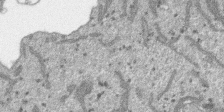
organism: Human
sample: Lung epithelial cells infected with SARS-CoV-2